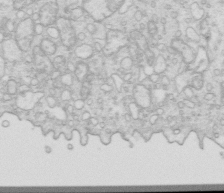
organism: Mouse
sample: Multiciliated cells